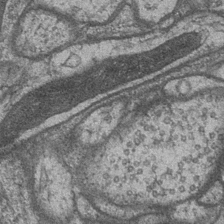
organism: Drosophila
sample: Optic medulla